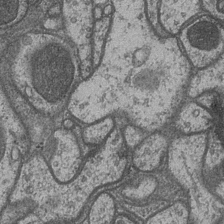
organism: Drosophila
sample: Optic medulla